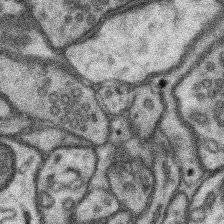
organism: Mouse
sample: Somatosensory cortex neuropil